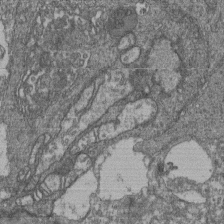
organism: Human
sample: Retinal organoid Rod and Cone cells